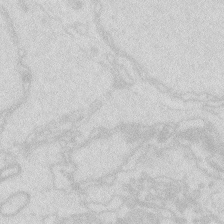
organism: Zebrafish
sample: Macrophage